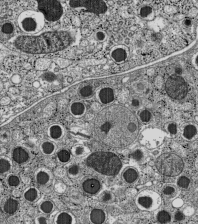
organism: C57BL Mouse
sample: Pancreatic islet